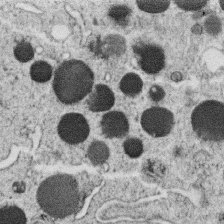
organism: C. elegans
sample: C. elegans oocyte; sperm cells